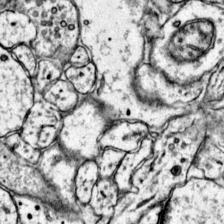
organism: Mouse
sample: Primary visual cortex